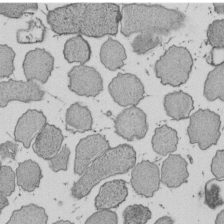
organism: E. coli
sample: Bacterial nucleoid